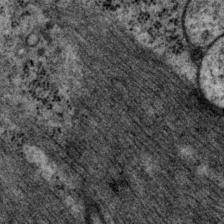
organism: P. pacificus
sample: Pharynx